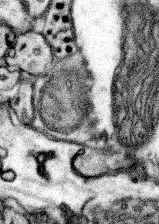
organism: Mouse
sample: Somatosensory cortex neuropil